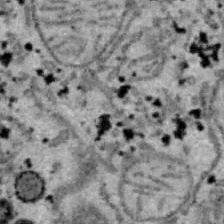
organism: Mouse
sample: Liver from an obese (ob/ob) mouse